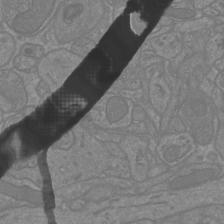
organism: Mouse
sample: Cortical neurons